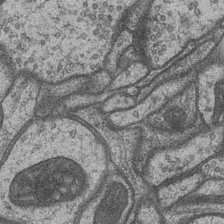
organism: Drosophila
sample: Optic medulla